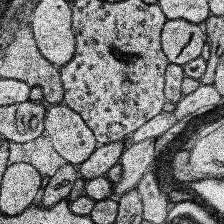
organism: Human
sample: Temporal Lobe